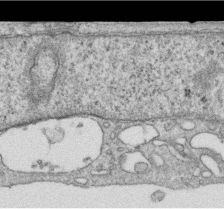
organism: Human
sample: Centriole in RPE cells